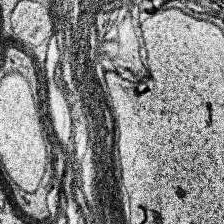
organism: Human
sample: Temporal Lobe